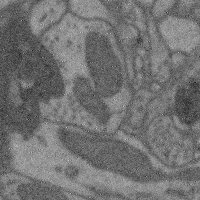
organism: Mouse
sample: Cerebral cortex